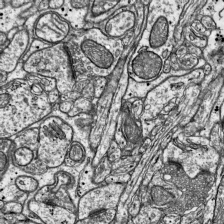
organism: Mouse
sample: Visual Cortex